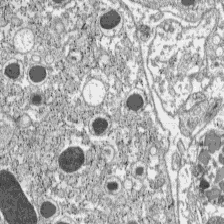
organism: C57BL Mouse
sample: Pancreatic islet